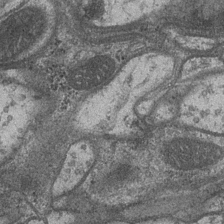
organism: Drosophila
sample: Optic medulla